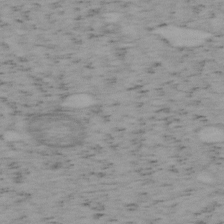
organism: Mouse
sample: OT-I killer T cells with ID8 ovarian cancer cells